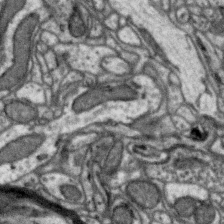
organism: Zebra finch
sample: Brain